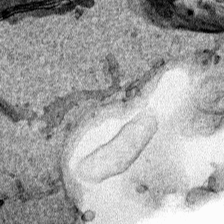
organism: Human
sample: Mitochondria in HCT116 cells